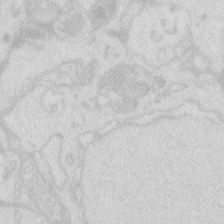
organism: Zebrafish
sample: Macrophage